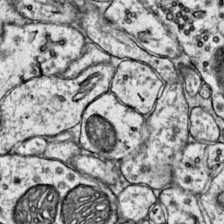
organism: Mouse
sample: Primary visual cortex